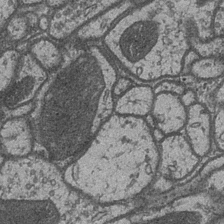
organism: Drosophila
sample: Optic medulla